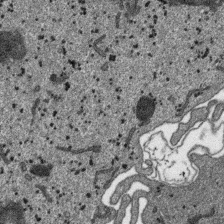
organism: Human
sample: Lung epithelial cells infected with SARS-CoV-2